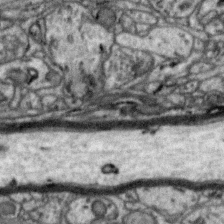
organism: Zebra finch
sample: Brain